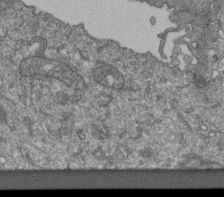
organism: Human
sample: Retinal organoid Rod and Cone cells